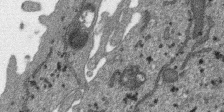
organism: Human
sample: Lung epithelial cells infected with SARS-CoV-2